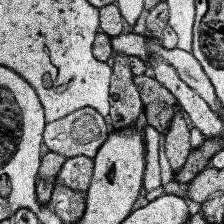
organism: Human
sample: Temporal Lobe